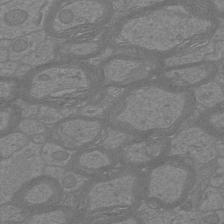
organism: Mouse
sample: Cortical neurons